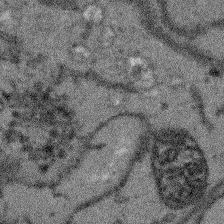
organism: Arabidopsis thaliana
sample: Root tip